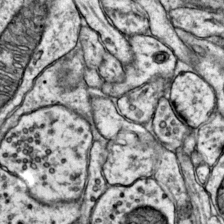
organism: Mouse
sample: Primary visual cortex